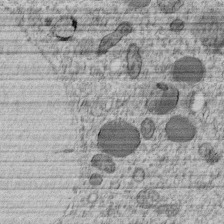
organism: C. elegans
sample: C. elegans embryo early stage